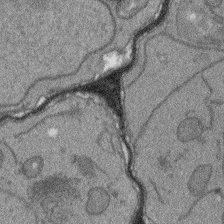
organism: Arabidopsis thaliana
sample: Root tip